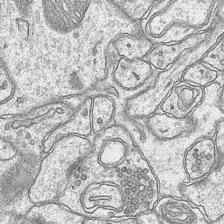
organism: Mouse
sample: CA1 Hippocampus